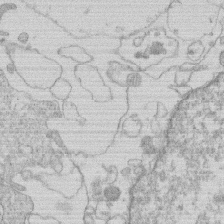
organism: Human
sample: Macrophage cells